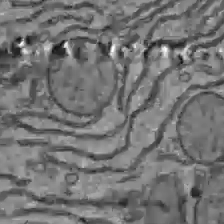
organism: C57BL Mouse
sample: Liver